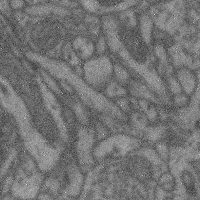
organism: Mouse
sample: Cerebral cortex